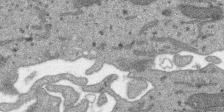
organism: Human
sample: Lung epithelial cells infected with SARS-CoV-2